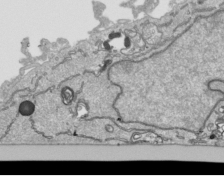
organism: Human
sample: Mitochondria in HCT116 cells